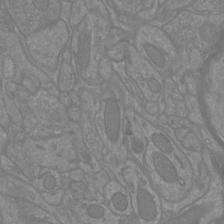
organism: Mouse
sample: Cortical neurons